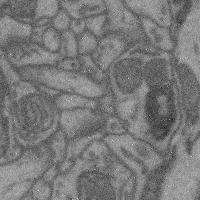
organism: Mouse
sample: Cerebral cortex